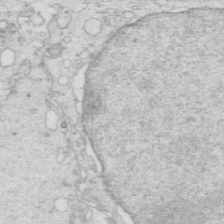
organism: Mouse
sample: Multiciliated cells